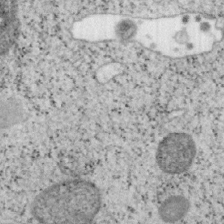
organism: Mouse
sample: OT-I killer T cells with ID8 ovarian cancer cells